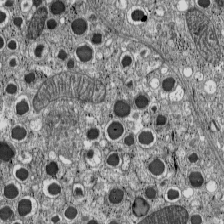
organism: C57BL Mouse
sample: Pancreatic islet